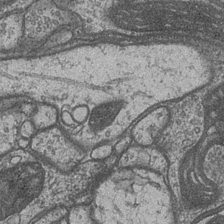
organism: Drosophila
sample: Optic medulla